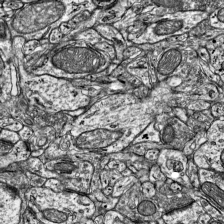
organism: Mouse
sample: Visual Cortex